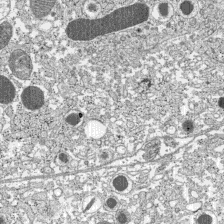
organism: C57BL Mouse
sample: Pancreatic islet